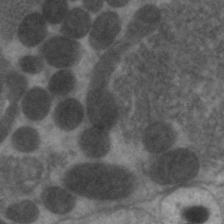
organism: C. elegans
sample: Pharynx